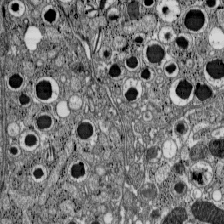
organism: C57BL Mouse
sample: Pancreatic islet